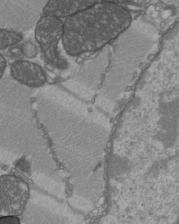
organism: C57BL Mouse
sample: Heart